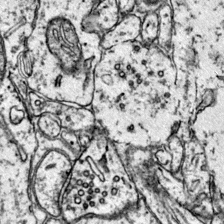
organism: Mouse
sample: Primary visual cortex